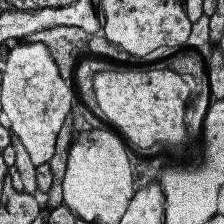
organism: Human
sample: Temporal Lobe